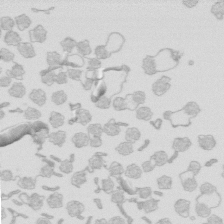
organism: Mouse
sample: Multiciliated cells